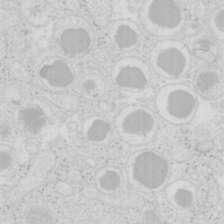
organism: Mouse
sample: Pancreas